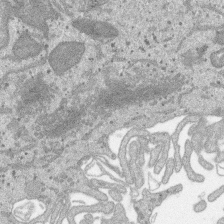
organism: Human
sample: Lung epithelial cells infected with SARS-CoV-2